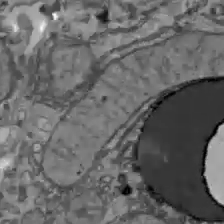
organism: C57BL Mouse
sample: Liver